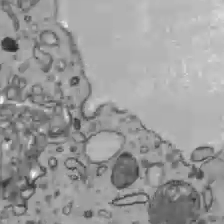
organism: C57BL Mouse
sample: Liver